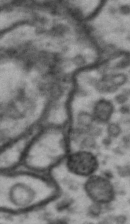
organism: Drosophila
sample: Brain